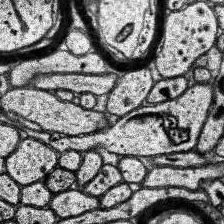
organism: Human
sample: Temporal Lobe